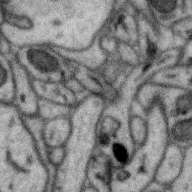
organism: Zebra finch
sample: Brain